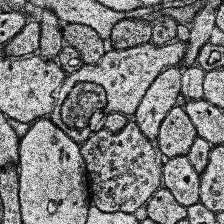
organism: Human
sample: Temporal Lobe